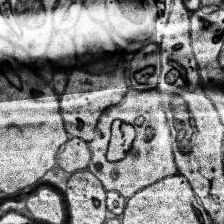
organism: Human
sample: Temporal Lobe